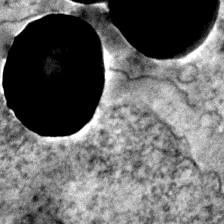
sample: Trachea